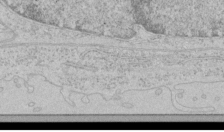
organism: Human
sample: Mitochondria in HCT116 cells